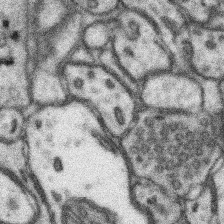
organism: Mouse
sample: Somatosensory cortex neuropil